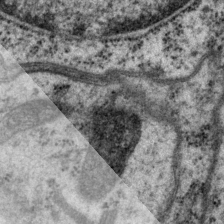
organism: P. pacificus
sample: Pharynx